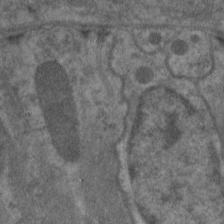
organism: C. elegans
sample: Pharynx